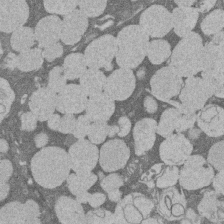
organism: Rat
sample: Salivary granule